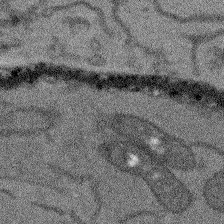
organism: Arabidopsis thaliana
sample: Root tip